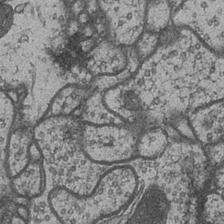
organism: Drosophila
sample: Optic medulla